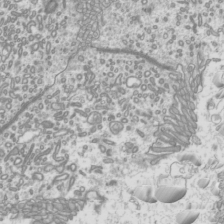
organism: Mouse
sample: Cilia; mouse epididymis